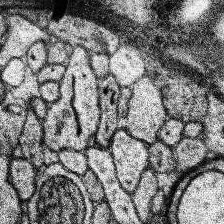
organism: Human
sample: Temporal Lobe